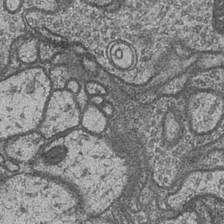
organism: Drosophila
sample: Optic medulla